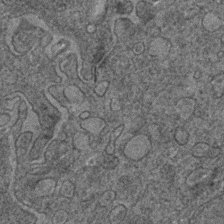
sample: Trachea